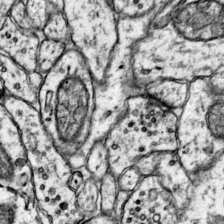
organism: Mouse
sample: Primary visual cortex